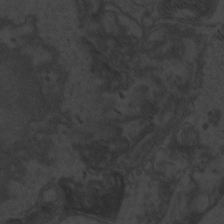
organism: Zebrafish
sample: Macrophage infected with Toxoplasma gondii